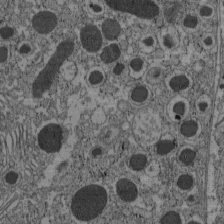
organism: C57BL Mouse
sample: Pancreatic islet